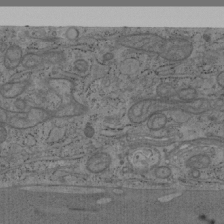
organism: Human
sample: HeLa cells